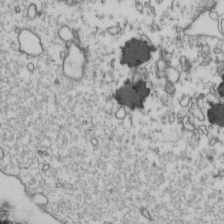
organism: Human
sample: Activated Jurkat CD4+ T cells